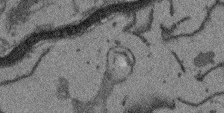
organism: Arabidopsis thaliana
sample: Root tip